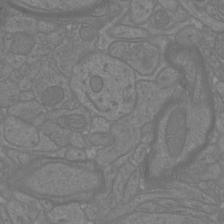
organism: Mouse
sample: Cortical neurons